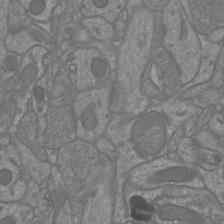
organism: Mouse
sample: Cortical neurons